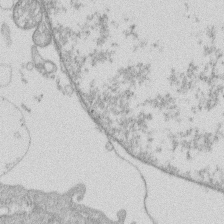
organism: Human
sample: Macrophage cells